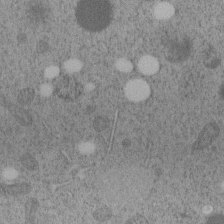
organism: C. elegans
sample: C. elegans embryo early stage